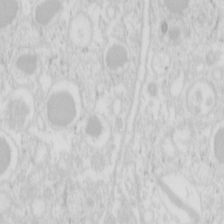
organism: Mouse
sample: Pancreas